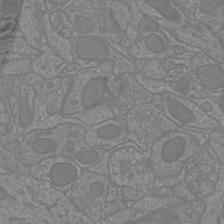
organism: Mouse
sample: Cortical neurons